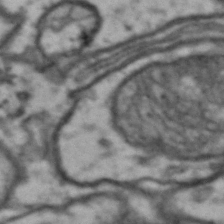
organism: Drosophila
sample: Brain